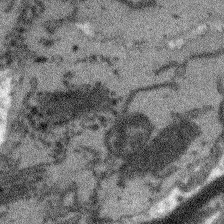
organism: Arabidopsis thaliana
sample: Root tip